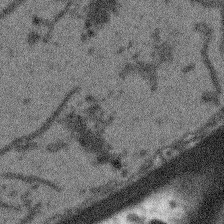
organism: Arabidopsis thaliana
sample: Root tip